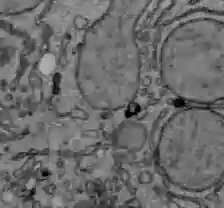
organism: C57BL Mouse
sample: Liver